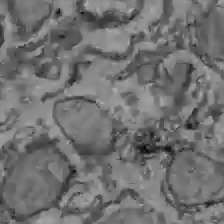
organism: C57BL Mouse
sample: Liver